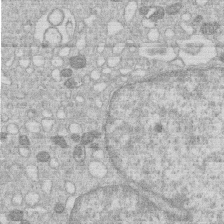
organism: Human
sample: Macrophage cells